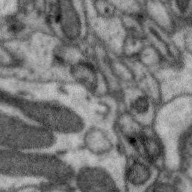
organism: Zebra finch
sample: Brain